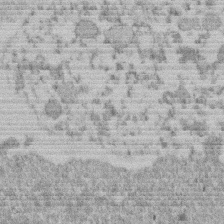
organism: Mouse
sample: Dividing mouse embryo 1 cell stage